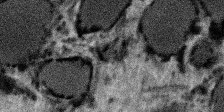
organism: Human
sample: Lung epithelial cells infected with SARS-CoV-2